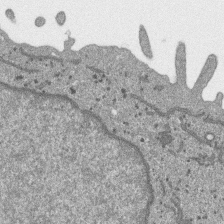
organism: Human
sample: Lung epithelial cells infected with SARS-CoV-2